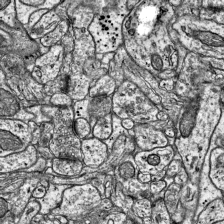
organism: Mouse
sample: Visual Cortex